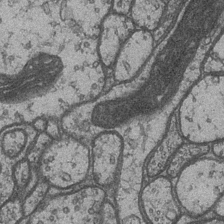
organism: Drosophila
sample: Optic medulla